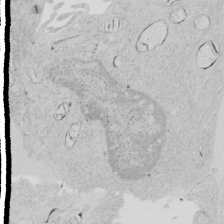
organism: Human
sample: Mitochondria in HCT116 cells